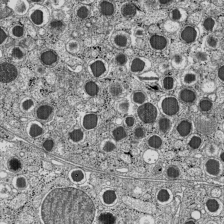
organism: C57BL Mouse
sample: Pancreatic islet